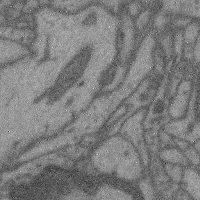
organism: Mouse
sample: Cerebral cortex